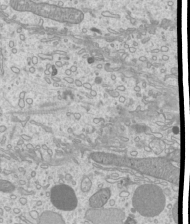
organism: Mouse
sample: Cilia; mouse epididymis